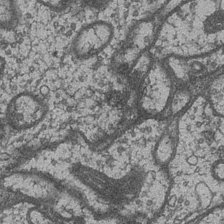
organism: Drosophila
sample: Optic medulla